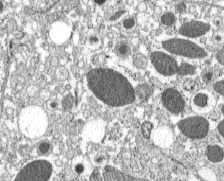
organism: C57BL Mouse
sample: Pancreatic islet